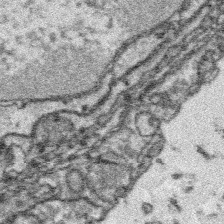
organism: Platynereis dumerilii